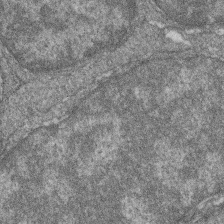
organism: Zebrafish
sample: Cilia; retinal pigment epithelium